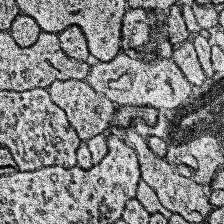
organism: Human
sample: Temporal Lobe